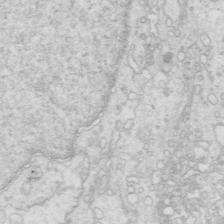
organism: Mouse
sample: Multiciliated cells